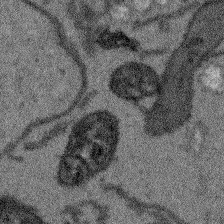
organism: Arabidopsis thaliana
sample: Root tip